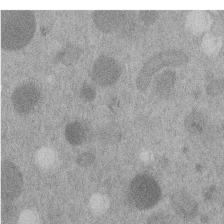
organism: C. elegans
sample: C. elegans embryo early stage